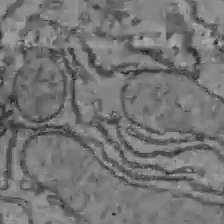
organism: C57BL Mouse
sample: Liver